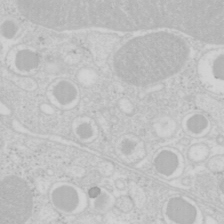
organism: Mouse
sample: Pancreas